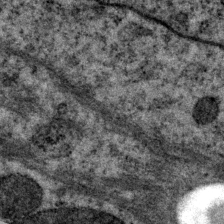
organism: P. pacificus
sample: Pharynx